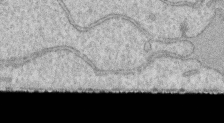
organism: Human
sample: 1205lu cells